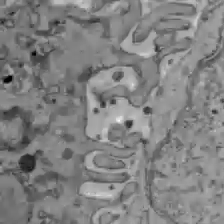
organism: C57BL Mouse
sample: Liver